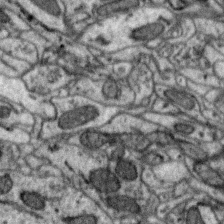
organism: Zebra finch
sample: Brain